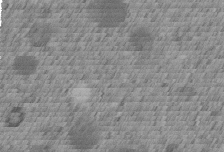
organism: C. elegans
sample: C. elegans embryo early stage